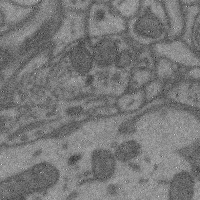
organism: Mouse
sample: Cerebral cortex